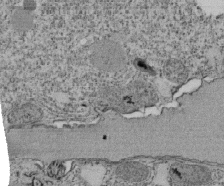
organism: Tetrahymena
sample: Cilia in tetrahymena